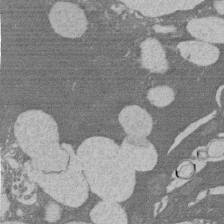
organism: Rat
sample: Salivary granule